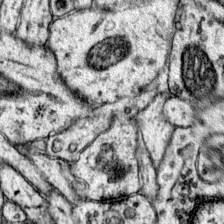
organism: Mouse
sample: Primary visual cortex